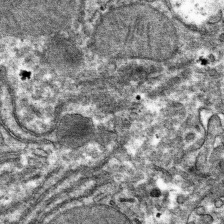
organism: Mouse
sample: Mouse hepatocytes